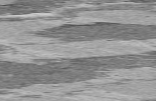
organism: C57BL Mouse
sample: Heart